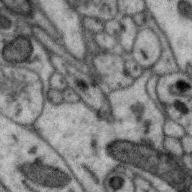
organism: Zebra finch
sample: Brain